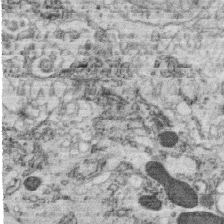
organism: C. elegans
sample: C. elegans oocyte; sperm cells